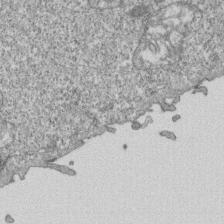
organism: Human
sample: HeLa cell HIV synapse